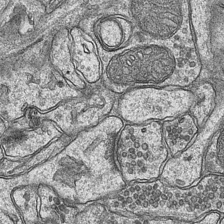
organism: Mouse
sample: CA1 Hippocampus